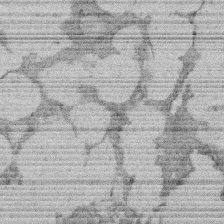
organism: Rat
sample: Salivary granule